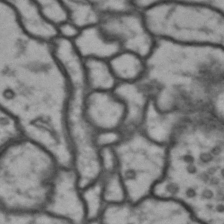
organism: Drosophila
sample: Brain